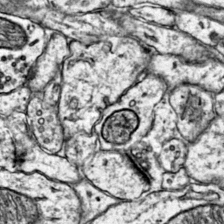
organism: Mouse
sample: Primary visual cortex